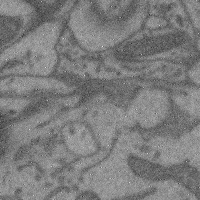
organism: Mouse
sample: Cerebral cortex